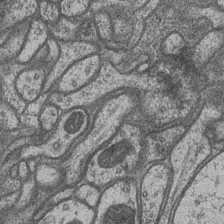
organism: Drosophila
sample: Optic medulla